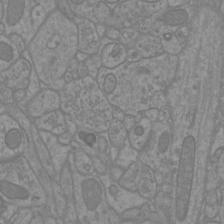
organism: Mouse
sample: Cortical neurons